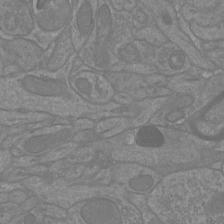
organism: Mouse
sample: Cortical neurons